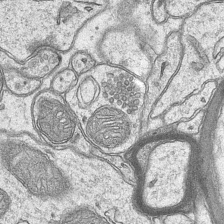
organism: Mouse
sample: CA1 Hippocampus